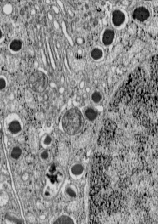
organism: C57BL Mouse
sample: Pancreatic islet